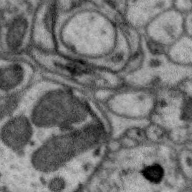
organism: Zebra finch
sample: Brain